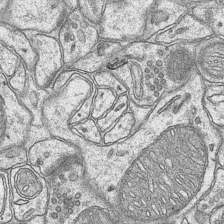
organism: Mouse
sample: CA1 Hippocampus